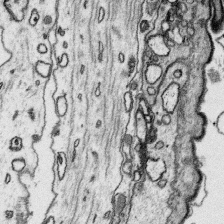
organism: Platynereis dumerilii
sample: Parapodia